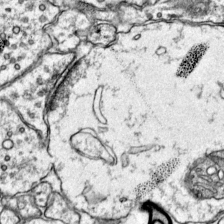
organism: Mouse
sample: Primary visual cortex